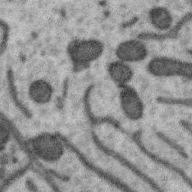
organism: Zebra finch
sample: Brain